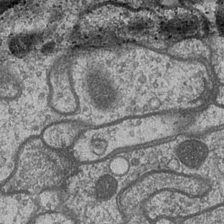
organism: Drosophila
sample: Optic medulla